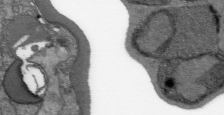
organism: Plasmodium falciparum